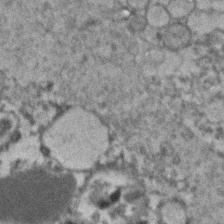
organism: Human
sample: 1205lu cells